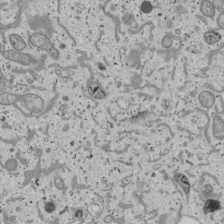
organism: Human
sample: Mitochondria in U2OS cells